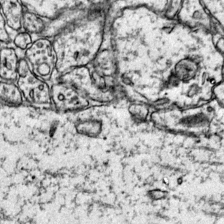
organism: Mouse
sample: Primary visual cortex